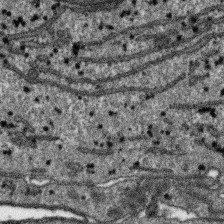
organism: Human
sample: Lung epithelial cells infected with SARS-CoV-2